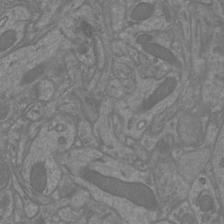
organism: Mouse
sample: Cortical neurons